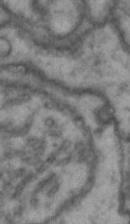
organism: Drosophila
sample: Brain